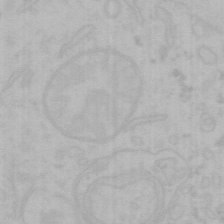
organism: Mouse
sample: Choroid plexus